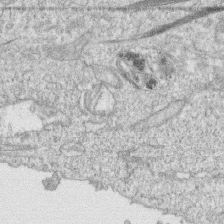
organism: Human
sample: HeLa cell HIV synapse